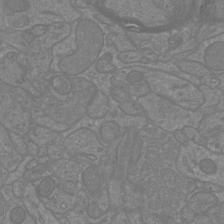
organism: Mouse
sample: Cortical neurons